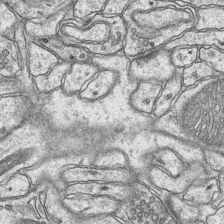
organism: Mouse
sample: CA1 Hippocampus